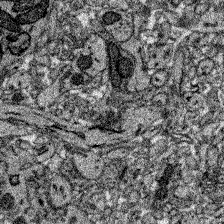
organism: Zebrafish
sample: Larval olfactory bulb